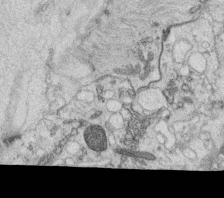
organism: C. elegans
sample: C. elegans oocyte; sperm cells